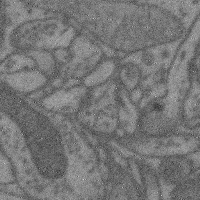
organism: Mouse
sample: Cerebral cortex